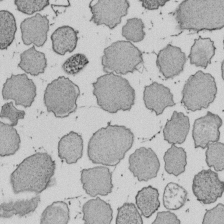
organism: E. coli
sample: Bacterial nucleoid